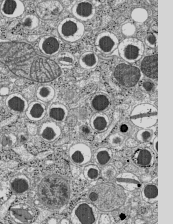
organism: C57BL Mouse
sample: Pancreatic islet